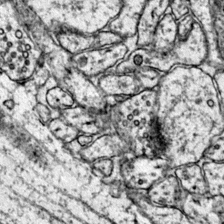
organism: Mouse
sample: Primary visual cortex